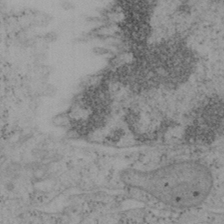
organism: Mouse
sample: OT-I killer T cells with ID8 ovarian cancer cells